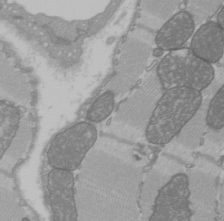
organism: C57BL Mouse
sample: Heart